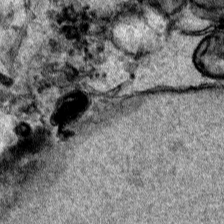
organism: Human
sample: Mitochondria in HCT116 cells